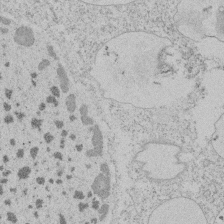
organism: Tetrahymena